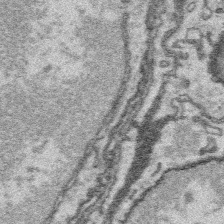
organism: Platynereis dumerilii